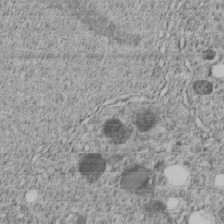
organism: C. elegans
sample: C. elegans embryo early stage